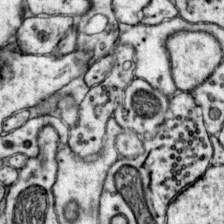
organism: Mouse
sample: Primary visual cortex